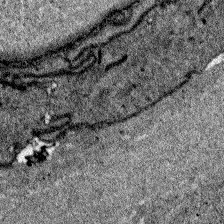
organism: Zebrafish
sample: Larval olfactory bulb